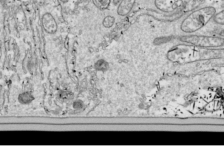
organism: Drosophila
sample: Cell division; meiosis; drosophila spermatocytes